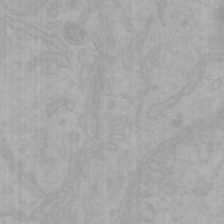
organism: Mouse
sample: Choroid plexus